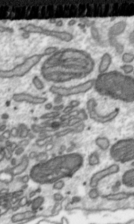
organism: Toxoplasma gondii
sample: Parasites in a vacuole inside a host cell